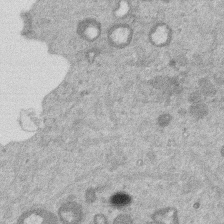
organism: Mouse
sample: Dividing mouse embryo 1 cell stage